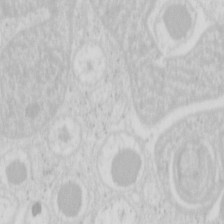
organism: Mouse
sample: Pancreas